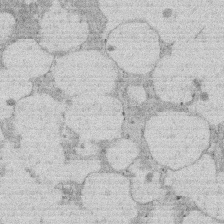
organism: Rat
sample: Salivary granule